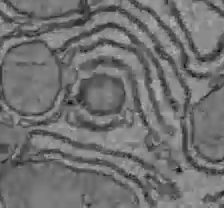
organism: C57BL Mouse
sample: Liver